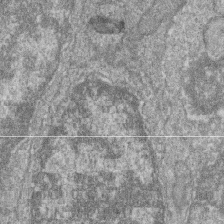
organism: Zebrafish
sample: Cilia; retinal pigment epithelium